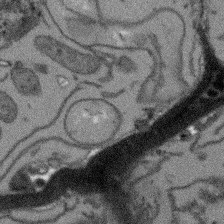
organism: Arabidopsis thaliana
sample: Root tip